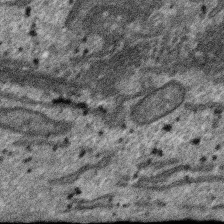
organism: Human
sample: Lung epithelial cells infected with SARS-CoV-2